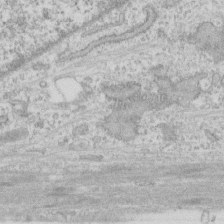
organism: Human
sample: CRL-1474